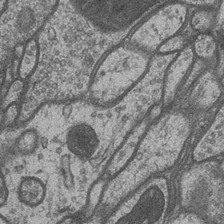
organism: Drosophila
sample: Optic medulla